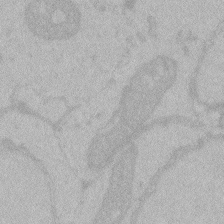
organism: Zebrafish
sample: Macrophage infected with Toxoplasma gondii